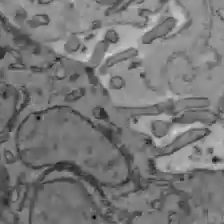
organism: C57BL Mouse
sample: Liver